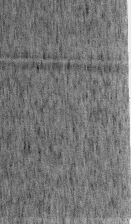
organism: Human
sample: HeLa cells